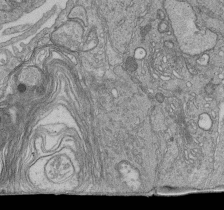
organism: Human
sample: Retinal organoid Rod and Cone cells